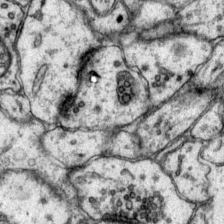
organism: Mouse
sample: Primary visual cortex